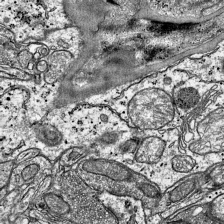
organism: Mouse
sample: Visual Cortex